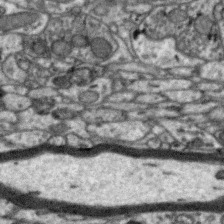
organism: Zebra finch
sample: Brain